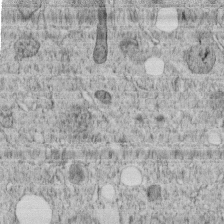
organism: C. elegans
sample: C. elegans embryo early stage